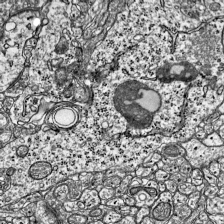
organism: Mouse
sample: Visual Cortex